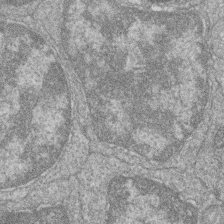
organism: Zebrafish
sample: Cilia; retinal pigment epithelium